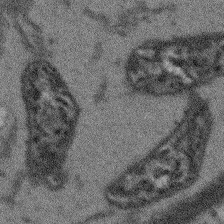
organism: Arabidopsis thaliana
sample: Root tip